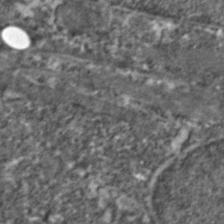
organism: Zebrafish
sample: Zebrafish embryo